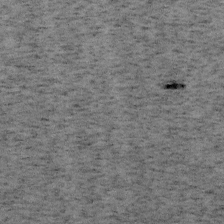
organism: Mouse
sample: OT-I killer T cells with ID8 ovarian cancer cells